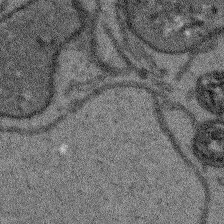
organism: Arabidopsis thaliana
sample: Root tip